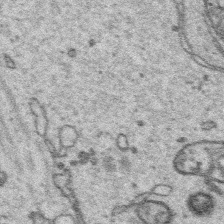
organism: Platynereis dumerilii